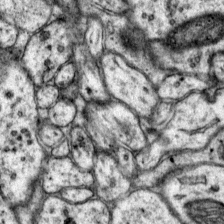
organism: Mouse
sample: Primary visual cortex